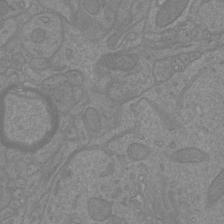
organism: Mouse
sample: Cortical neurons